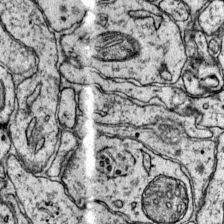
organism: Mouse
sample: Primary visual cortex